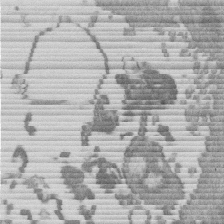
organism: Mouse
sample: Dividing mouse embryo 1 cell stage